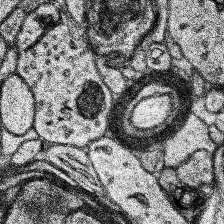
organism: Human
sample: Temporal Lobe